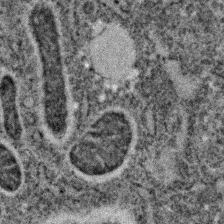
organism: C. elegans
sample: C. elegans embryo